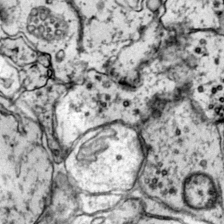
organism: Mouse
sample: Primary visual cortex